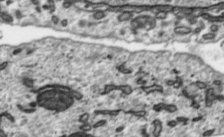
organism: Toxoplasma gondii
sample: Parasites in a vacuole inside a host cell